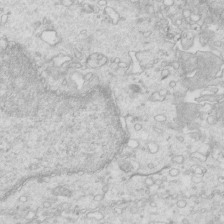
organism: Mouse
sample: Multiciliated cells